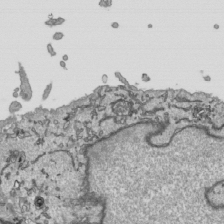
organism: Human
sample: Mitochondria in HCT116 cells